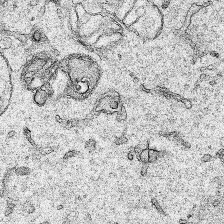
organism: Human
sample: Mitochondria in HCT116 cells